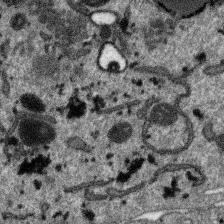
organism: Human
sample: Lung epithelial cells infected with SARS-CoV-2